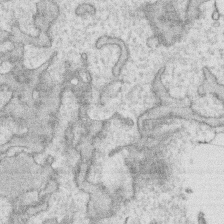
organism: Human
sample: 1205lu cells